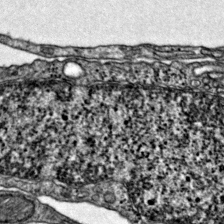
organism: Mouse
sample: Primary visual cortex